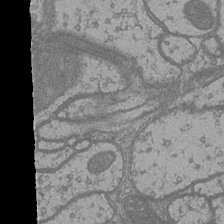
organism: Drosophila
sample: Optic medulla